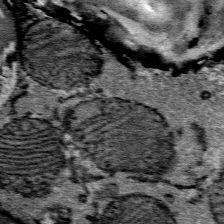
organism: Mouse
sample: Mouse Salivary gland